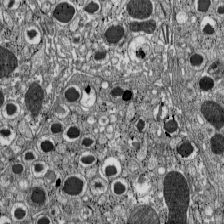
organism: C57BL Mouse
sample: Pancreatic islet